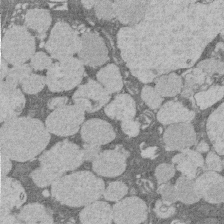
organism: Rat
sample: Salivary granule